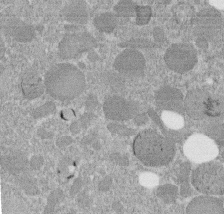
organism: C. elegans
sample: C. elegans embryo early stage